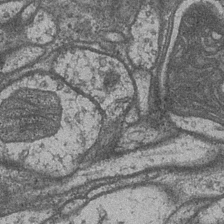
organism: Drosophila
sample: Optic medulla